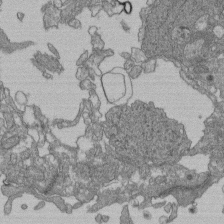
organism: Human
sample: Retinal organoid Rod and Cone cells